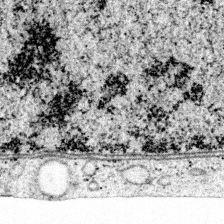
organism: Human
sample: HeLa cells